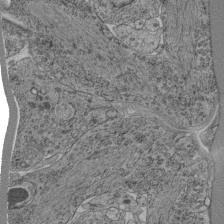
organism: C. elegans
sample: C. elegans pharynx